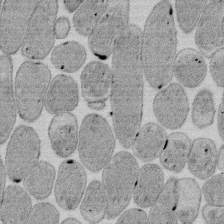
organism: E. coli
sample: Bacterial nucleoid